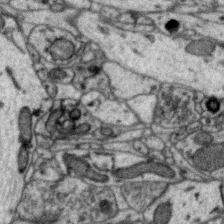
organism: Zebra finch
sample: Brain